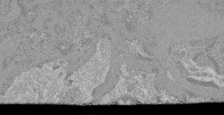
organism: Mouse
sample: Glomerulus